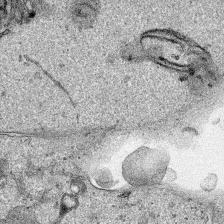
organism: Human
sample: Mitochondria in HCT116 cells